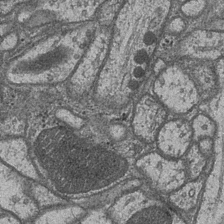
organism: Drosophila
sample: Optic medulla